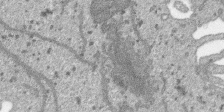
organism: Human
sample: Lung epithelial cells infected with SARS-CoV-2